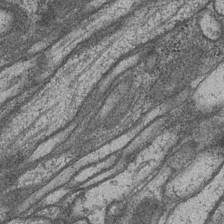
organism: Drosophila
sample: Optic medulla